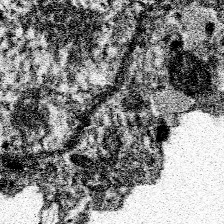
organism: Spongilla lacustris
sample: Neuroid cell